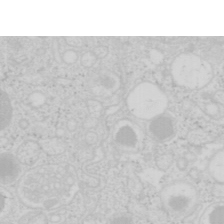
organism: Mouse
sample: Pancreas